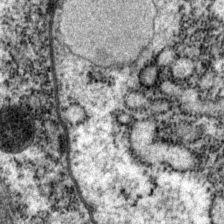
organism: P. pacificus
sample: Pharynx